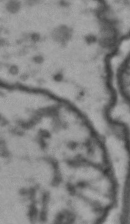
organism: Drosophila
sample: Brain